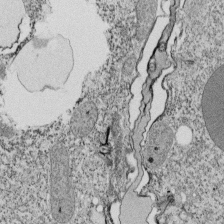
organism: Tetrahymena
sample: Cilia in tetrahymena